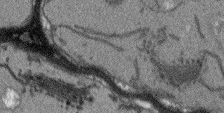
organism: Arabidopsis thaliana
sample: Root tip